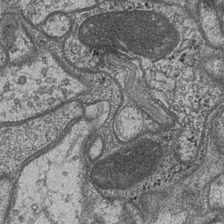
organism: Drosophila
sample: Optic medulla